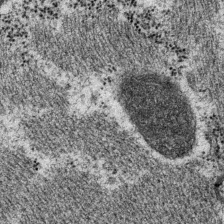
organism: P. pacificus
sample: Pharynx